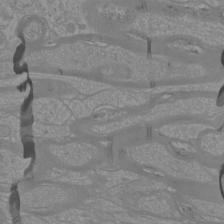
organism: Mouse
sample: Cortical neurons